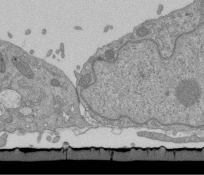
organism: Mouse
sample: ED-1 cell nuclei; centrioles